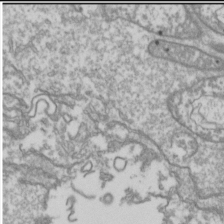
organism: Drosophila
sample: Cell division; meiosis; drosophila spermatocytes